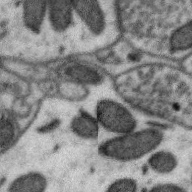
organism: Zebra finch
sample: Brain